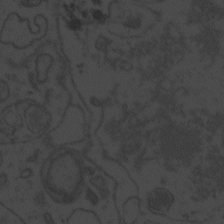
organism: Zebrafish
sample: Macrophage infected with Toxoplasma gondii